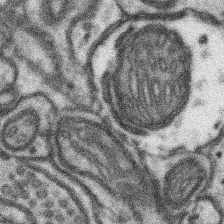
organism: Mouse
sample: Somatosensory cortex neuropil